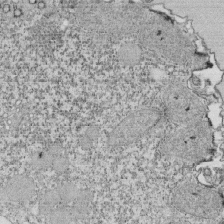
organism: Tetrahymena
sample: Cilia in tetrahymena